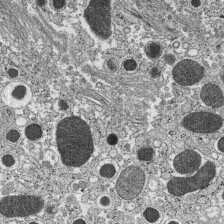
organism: C57BL Mouse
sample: Pancreatic islet